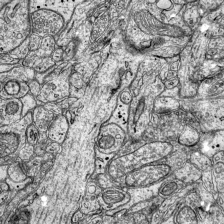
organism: Mouse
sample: Visual Cortex